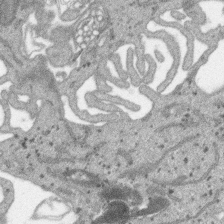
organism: Human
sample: Lung epithelial cells infected with SARS-CoV-2